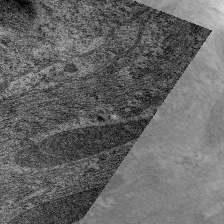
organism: C. elegans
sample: Pharynx